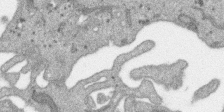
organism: Human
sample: Lung epithelial cells infected with SARS-CoV-2